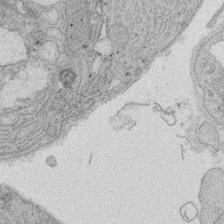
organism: Rat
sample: Salivary granule